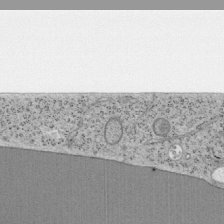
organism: Human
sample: HeLa cells